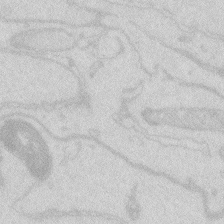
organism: Zebrafish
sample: Macrophage